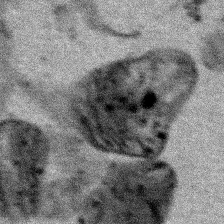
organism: Human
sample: Mitochondria in HCT116 cells